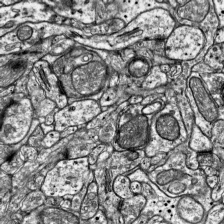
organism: Mouse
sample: Visual Cortex